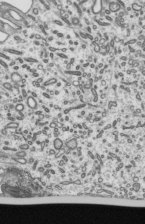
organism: Mouse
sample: Mouse epididymis efferent ductule cilia